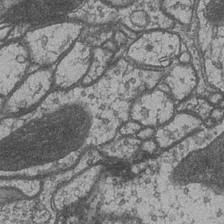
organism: Drosophila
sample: Optic medulla